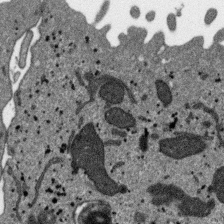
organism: Human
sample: Lung epithelial cells, uninfected (mock) control